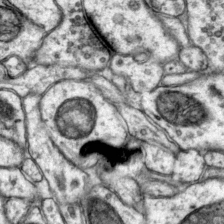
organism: Mouse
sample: Primary visual cortex